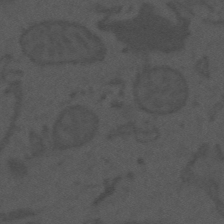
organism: Mouse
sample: Suprachiasmatic nucleus